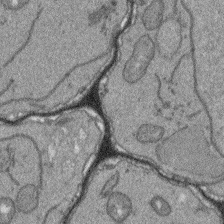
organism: Arabidopsis thaliana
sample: Root tip